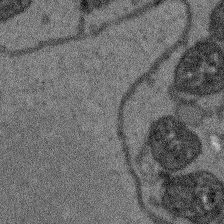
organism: Arabidopsis thaliana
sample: Root tip